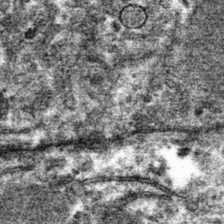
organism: Mouse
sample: Mouse hepatocytes